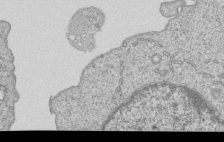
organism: Human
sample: MDA-MB-231 cells